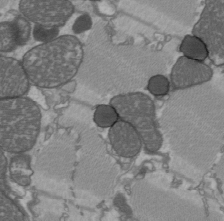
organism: C57BL Mouse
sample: Heart